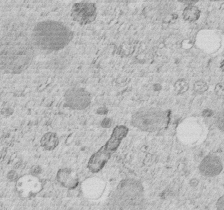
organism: C. elegans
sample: C. elegans embryo early stage